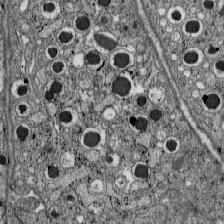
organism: C57BL Mouse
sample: Pancreatic islet